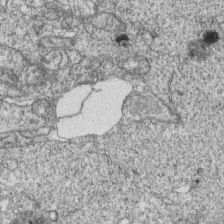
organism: Human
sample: HeLa cell HIV synapse